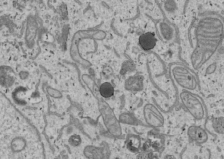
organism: Human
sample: Mitochondria in U2OS cells